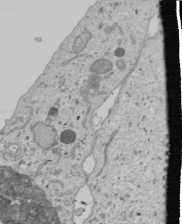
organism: Human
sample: Mitochondria in U2OS cells